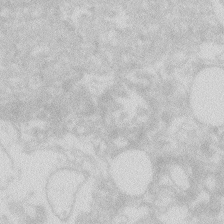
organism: Zebrafish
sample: Macrophage